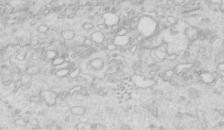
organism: Mouse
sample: Multiciliated cells